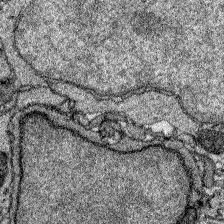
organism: Zebrafish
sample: Larval olfactory bulb